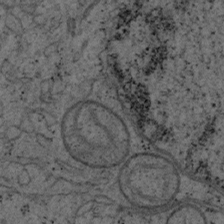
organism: Human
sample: HeLa cells